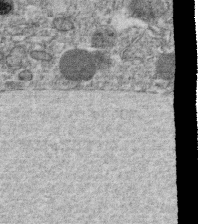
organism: C. elegans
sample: C. elegans oocyte; sperm cells